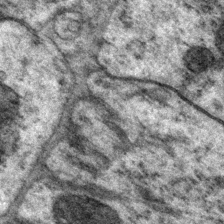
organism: P. pacificus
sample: Pharynx